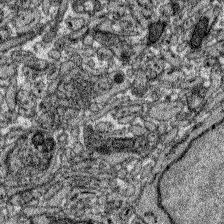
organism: Zebrafish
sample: Larval olfactory bulb